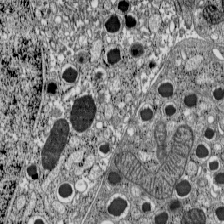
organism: C57BL Mouse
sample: Pancreatic islet